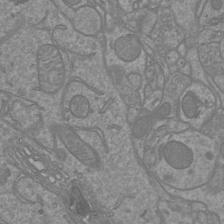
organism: Mouse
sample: Cortical neurons